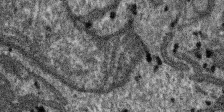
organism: Human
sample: Lung epithelial cells infected with SARS-CoV-2